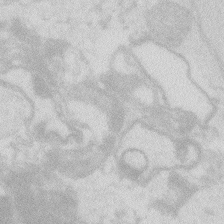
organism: Zebrafish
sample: Macrophage